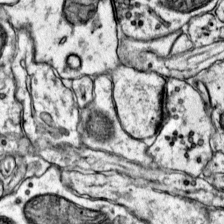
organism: Mouse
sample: Primary visual cortex